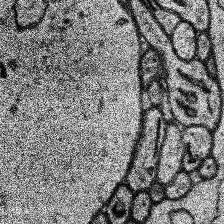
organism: Human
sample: Temporal Lobe